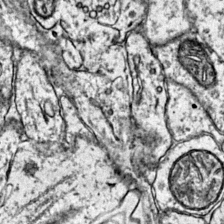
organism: Mouse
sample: Primary visual cortex